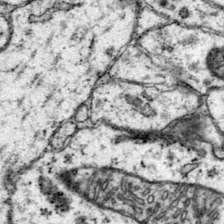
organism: Mouse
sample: Primary visual cortex